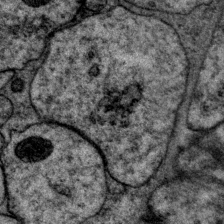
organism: P. pacificus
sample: Pharynx